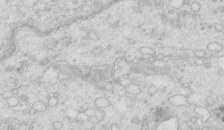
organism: Mouse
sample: Multiciliated cells